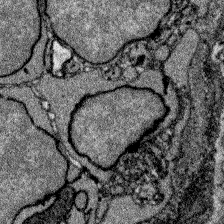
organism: Zebrafish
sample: Larval olfactory bulb